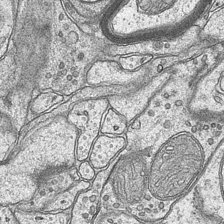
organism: Mouse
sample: CA1 Hippocampus